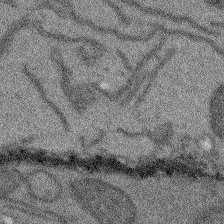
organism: Arabidopsis thaliana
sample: Root tip